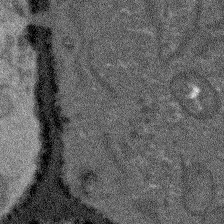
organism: Arabidopsis thaliana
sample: Root tip